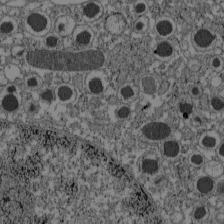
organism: C57BL Mouse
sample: Pancreatic islet